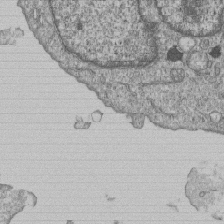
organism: Human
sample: MDA-MB-231 cells